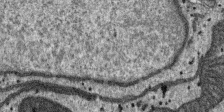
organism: Human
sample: Lung epithelial cells, uninfected (mock) control